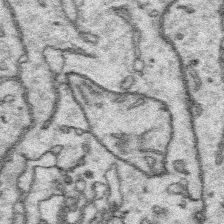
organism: Platynereis dumerilii